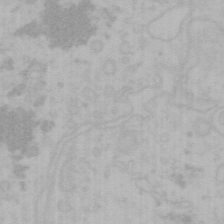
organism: Mouse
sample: Choroid plexus